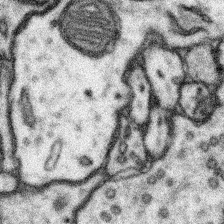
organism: Mouse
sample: Somatosensory cortex neuropil